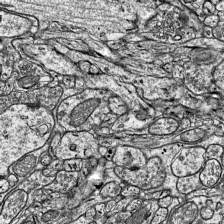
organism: Mouse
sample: Visual Cortex